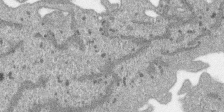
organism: Human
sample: Lung epithelial cells infected with SARS-CoV-2